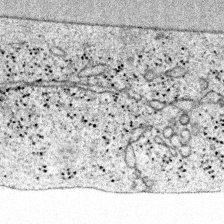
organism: Human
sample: HeLa cells